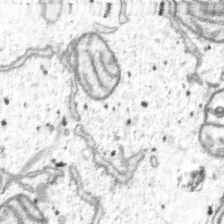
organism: Human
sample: HeLa cells